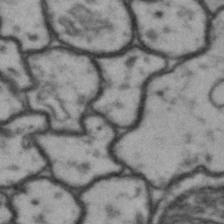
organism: Drosophila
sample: Brain